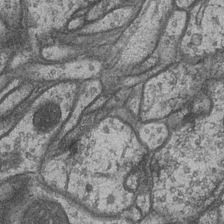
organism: Drosophila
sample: Optic medulla